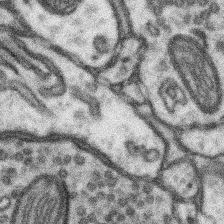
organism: Mouse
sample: Somatosensory cortex neuropil